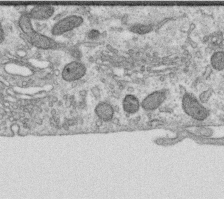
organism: Human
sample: Centriole in RPE cells